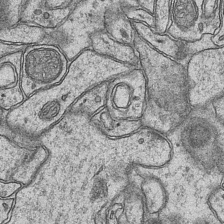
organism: Mouse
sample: CA1 Hippocampus